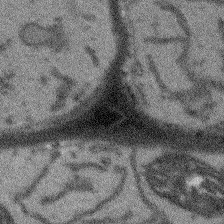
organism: Arabidopsis thaliana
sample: Root tip